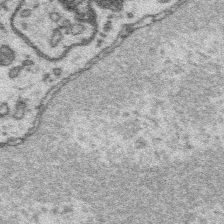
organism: Platynereis dumerilii